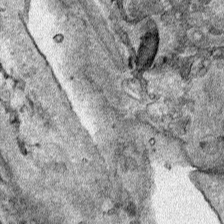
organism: Human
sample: Mitochondria in HCT116 cells